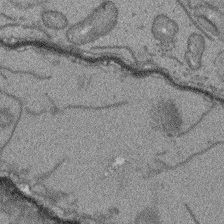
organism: Arabidopsis thaliana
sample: Root tip